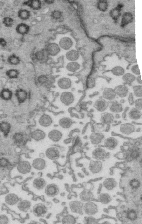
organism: Mouse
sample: Multiciliated cells